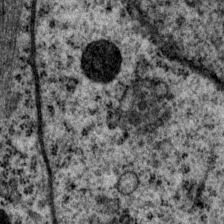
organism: P. pacificus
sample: Pharynx